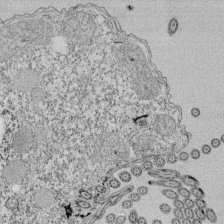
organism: Tetrahymena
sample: Cilia in tetrahymena